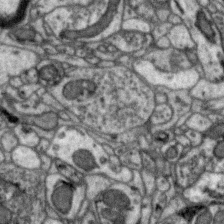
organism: Zebra finch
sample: Brain